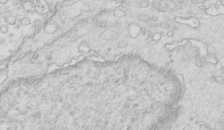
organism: Mouse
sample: Multiciliated cells